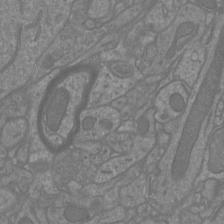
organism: Mouse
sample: Cortical neurons